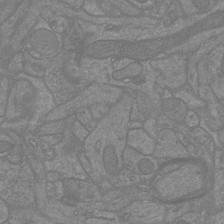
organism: Mouse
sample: Cortical neurons